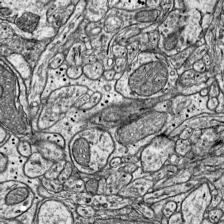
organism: Mouse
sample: Visual Cortex